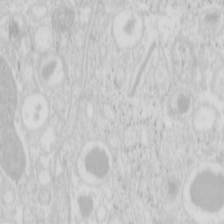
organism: Mouse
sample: Pancreas